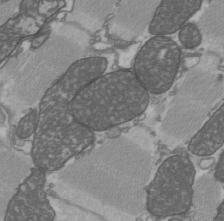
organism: C57BL Mouse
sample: Heart